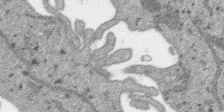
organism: Human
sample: Lung epithelial cells infected with SARS-CoV-2